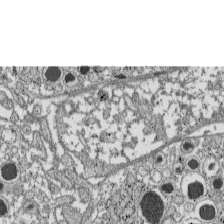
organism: C57BL Mouse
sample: Pancreatic islet